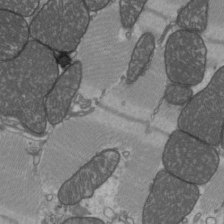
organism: C57BL Mouse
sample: Heart